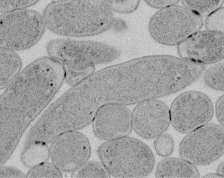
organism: E. coli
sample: Bacterial nucleoid